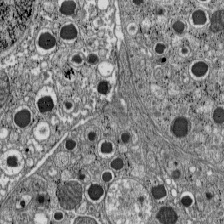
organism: C57BL Mouse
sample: Pancreatic islet